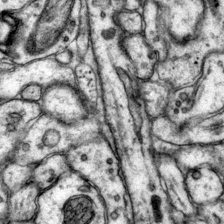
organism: Mouse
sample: Primary visual cortex